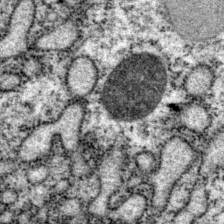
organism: P. pacificus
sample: Pharynx